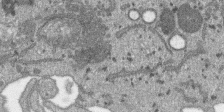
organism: Human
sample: Lung epithelial cells infected with SARS-CoV-2